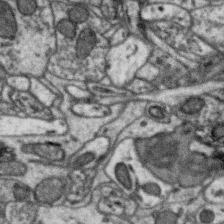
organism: Zebra finch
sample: Brain